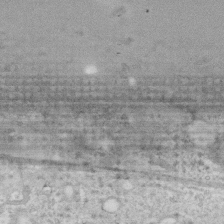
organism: Human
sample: Fibroblast cells